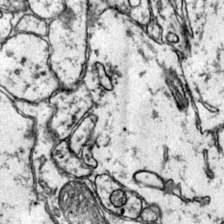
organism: Mouse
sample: Primary visual cortex